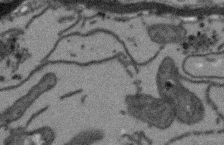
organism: Arabidopsis thaliana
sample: Root tip